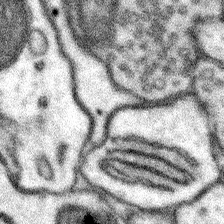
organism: Mouse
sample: Somatosensory cortex neuropil